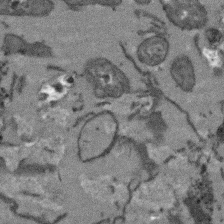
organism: Arabidopsis thaliana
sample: Root tip